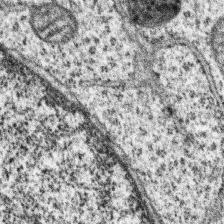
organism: Human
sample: HeLa cells